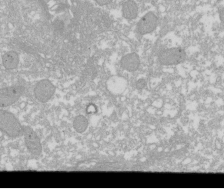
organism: Xenopus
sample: Cilia; centrioles in frog embryo cells